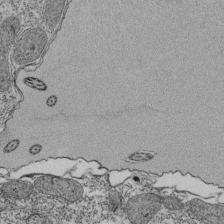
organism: Tetrahymena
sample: Cilia in tetrahymena